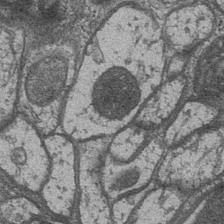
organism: Drosophila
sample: Optic medulla